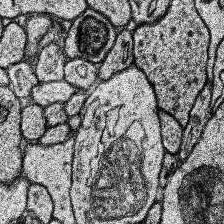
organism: Human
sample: Temporal Lobe